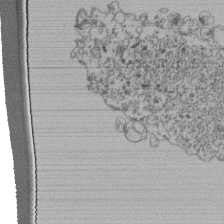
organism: Human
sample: Retinal organoid Rod and Cone cells